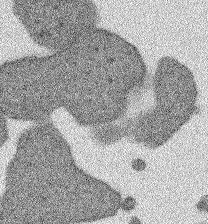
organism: Human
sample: HeLa cells